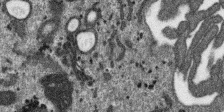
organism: Human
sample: Lung epithelial cells infected with SARS-CoV-2